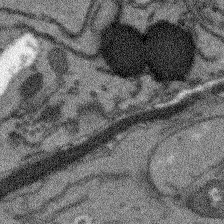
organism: Arabidopsis thaliana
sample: Root tip